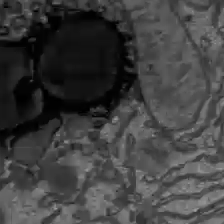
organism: C57BL Mouse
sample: Liver